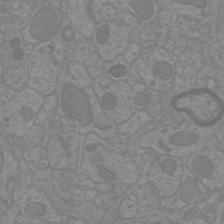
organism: Mouse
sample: Cortical neurons